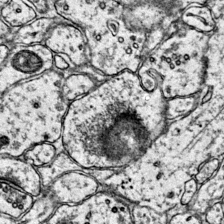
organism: Mouse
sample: Primary visual cortex